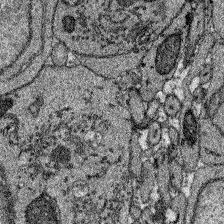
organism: Zebrafish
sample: Larval olfactory bulb